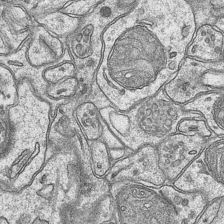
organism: Mouse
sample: CA1 Hippocampus